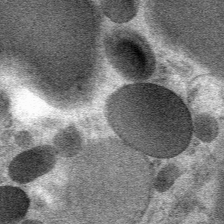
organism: Mouse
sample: Mouse Salivary gland